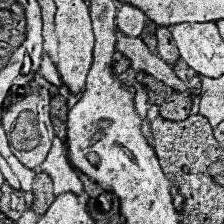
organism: Human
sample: Temporal Lobe